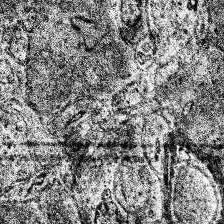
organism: Human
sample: Temporal Lobe